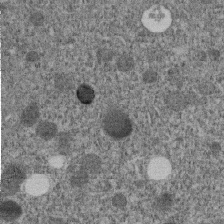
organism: C. elegans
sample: C. elegans embryo early stage